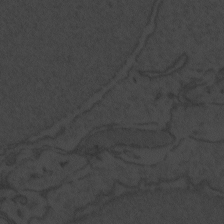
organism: Zebrafish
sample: Macrophage infected with Toxoplasma gondii